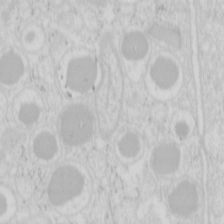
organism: Mouse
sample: Pancreas